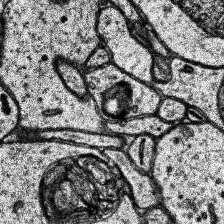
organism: Human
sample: Temporal Lobe